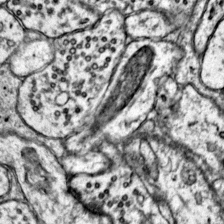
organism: Mouse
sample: Primary visual cortex